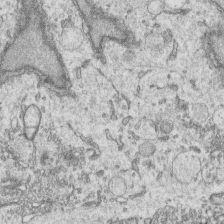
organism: Human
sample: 1205lu cells